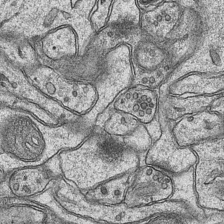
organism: Mouse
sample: CA1 Hippocampus